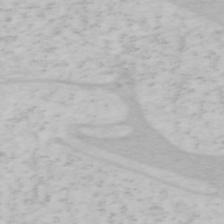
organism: Mouse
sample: OT-I killer T cells with ID8 ovarian cancer cells